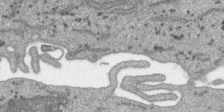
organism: Human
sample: Lung epithelial cells infected with SARS-CoV-2